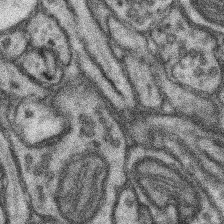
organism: Mouse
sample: Somatosensory cortex neuropil